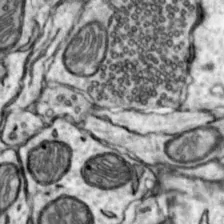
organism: Mouse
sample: Nucleus accumbens